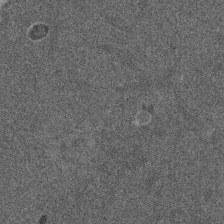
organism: Mouse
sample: Dividing mouse embryo 1 cell stage